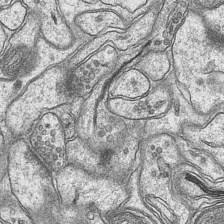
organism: Mouse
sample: CA1 Hippocampus